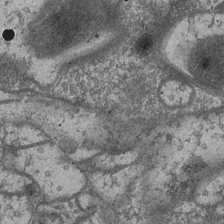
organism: Drosophila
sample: Optic medulla